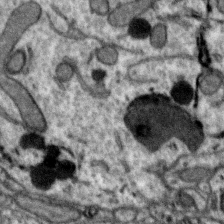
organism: Zebra finch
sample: Brain